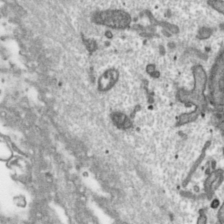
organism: Toxoplasma gondii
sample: Parasites in a vacuole inside a host cell